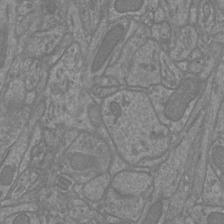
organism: Mouse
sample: Cortical neurons